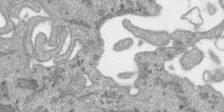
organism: Human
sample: Lung epithelial cells infected with SARS-CoV-2